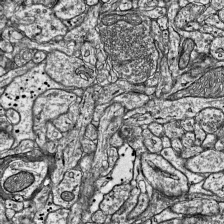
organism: Mouse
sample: Visual Cortex